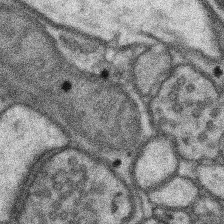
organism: Mouse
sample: Somatosensory cortex neuropil